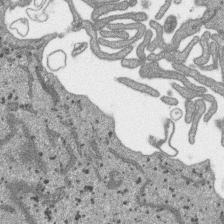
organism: Human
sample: Lung epithelial cells infected with SARS-CoV-2